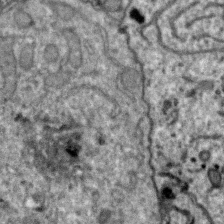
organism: Zebra finch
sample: Brain